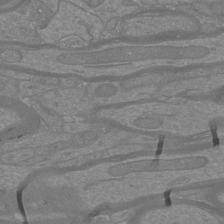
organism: Mouse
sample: Cortical neurons